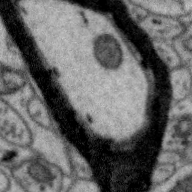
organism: Zebra finch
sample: Brain